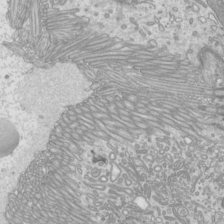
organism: Mouse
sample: Cilia; mouse epididymis